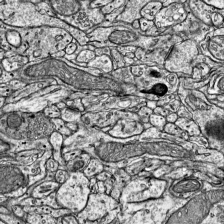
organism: Mouse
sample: Visual Cortex